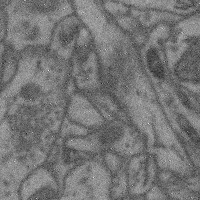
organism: Mouse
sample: Cerebral cortex